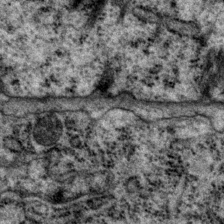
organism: P. pacificus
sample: Pharynx